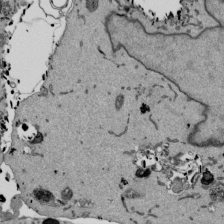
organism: Mouse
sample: ED-1 cell nuclei; centrioles